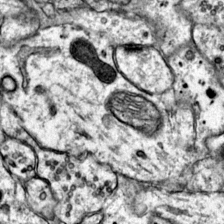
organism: Mouse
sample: Primary visual cortex